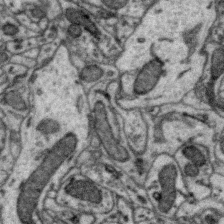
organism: Zebra finch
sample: Brain